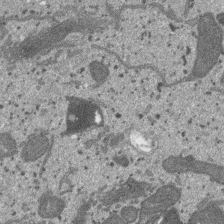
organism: Human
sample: Lung epithelial cells infected with SARS-CoV-2